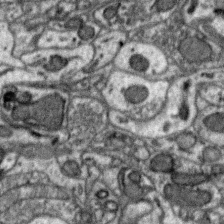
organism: Zebra finch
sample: Brain